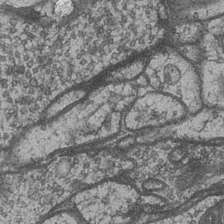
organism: Drosophila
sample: Optic medulla